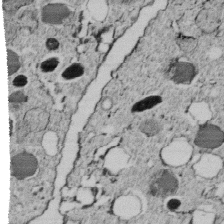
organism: C. elegans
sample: C. elegans embryo early stage